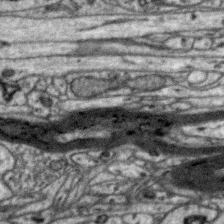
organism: Zebra finch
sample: Brain